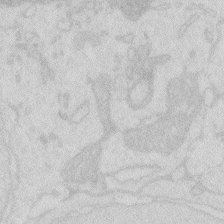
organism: Zebrafish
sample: Macrophage